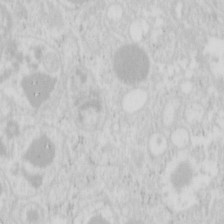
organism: Mouse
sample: Pancreas